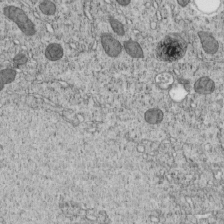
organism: C. elegans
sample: C. elegans embryo early stage